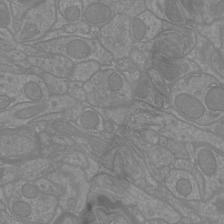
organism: Mouse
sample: Cortical neurons